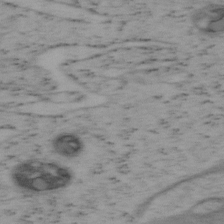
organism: Mouse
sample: OT-I killer T cells with ID8 ovarian cancer cells